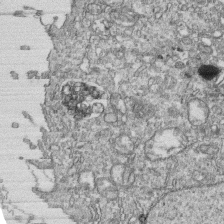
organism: Human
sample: HeLa cell HIV synapse